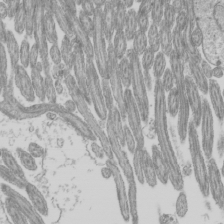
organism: Mouse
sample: Cilia; mouse epididymis